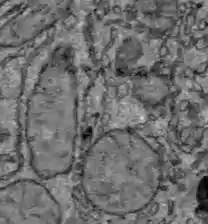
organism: C57BL Mouse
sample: Liver